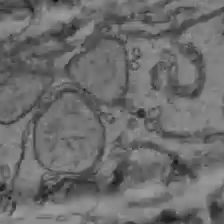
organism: C57BL Mouse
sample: Liver